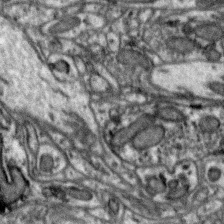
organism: Zebra finch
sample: Brain